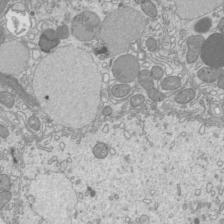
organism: Mouse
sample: Cilia; mouse epididymis